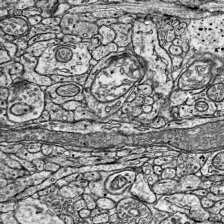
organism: Mouse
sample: Visual Cortex